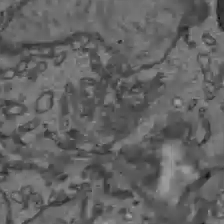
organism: C57BL Mouse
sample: Liver